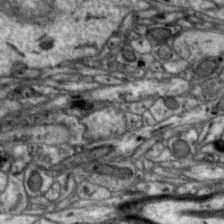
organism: Zebra finch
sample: Brain